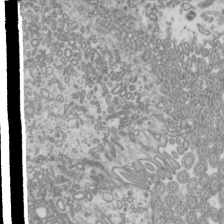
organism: Mouse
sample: Cilia; mouse epididymis